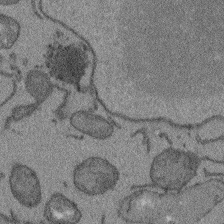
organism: Arabidopsis thaliana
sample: Root tip